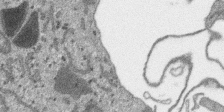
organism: Human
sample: Lung epithelial cells infected with SARS-CoV-2